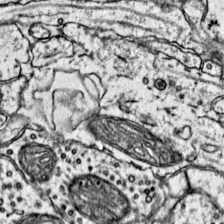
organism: Mouse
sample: Primary visual cortex